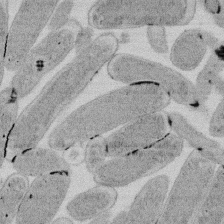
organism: E. coli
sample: Bacterial nucleoid